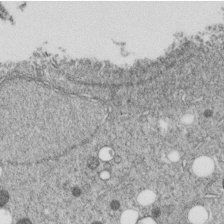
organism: C. elegans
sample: C. elegans embryo early stage